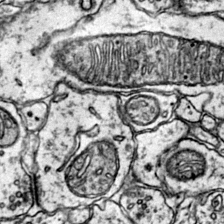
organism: Mouse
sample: Primary visual cortex